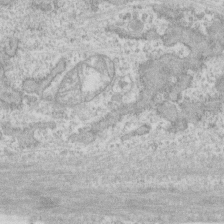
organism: Human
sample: CRL-1474